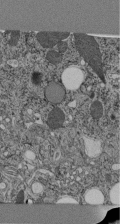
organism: C. elegans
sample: C. elegans pharynx